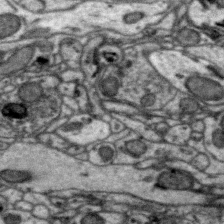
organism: Zebra finch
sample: Brain